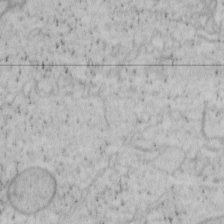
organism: Human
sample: HeLa cells